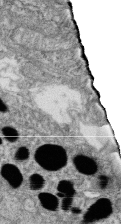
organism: Zebrafish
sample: Cilia; retinal pigment epithelium